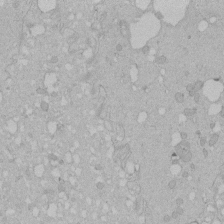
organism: Human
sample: Melanocyte Keratinocyte synapse skin construct